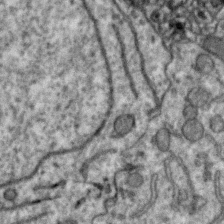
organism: Zebra finch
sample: Brain